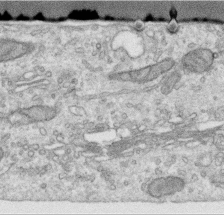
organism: Human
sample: Centriole in RPE cells